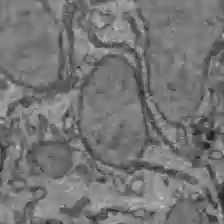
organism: C57BL Mouse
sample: Liver